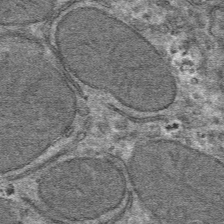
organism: Mouse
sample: Mouse hepatocytes